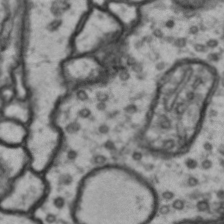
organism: Drosophila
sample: Brain